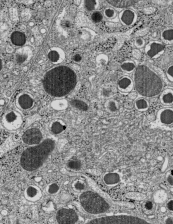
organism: C57BL Mouse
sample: Pancreatic islet